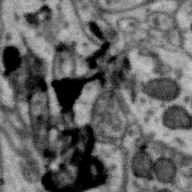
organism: Zebra finch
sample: Brain